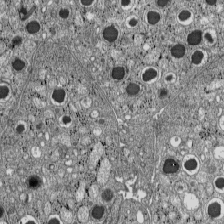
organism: C57BL Mouse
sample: Pancreatic islet